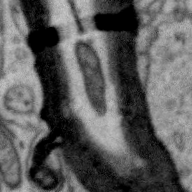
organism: Zebra finch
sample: Brain